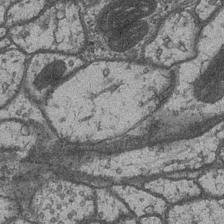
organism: Drosophila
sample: Optic medulla